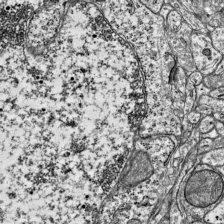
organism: Mouse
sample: Visual Cortex